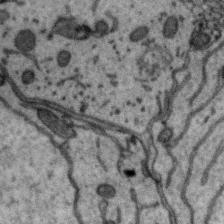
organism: Zebra finch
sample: Brain